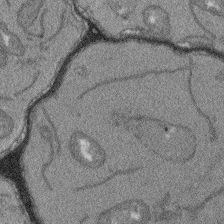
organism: Arabidopsis thaliana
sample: Root tip